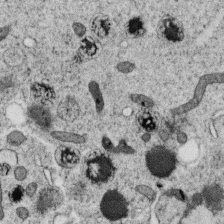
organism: C. elegans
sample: C. elegans oocyte; sperm cells